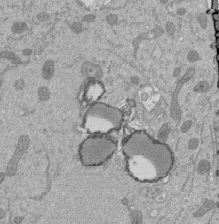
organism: Mouse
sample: ED-1 cell nuclei; centrioles